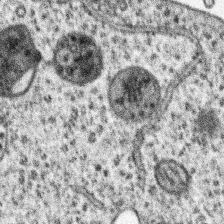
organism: Human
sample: HeLa cells